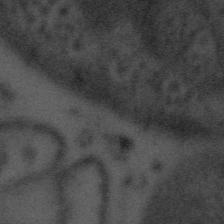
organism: Tuwongella immobilis